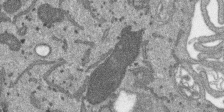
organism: Human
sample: Lung epithelial cells infected with SARS-CoV-2